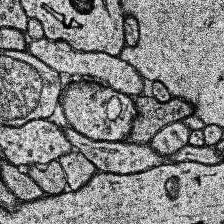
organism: Human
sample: Temporal Lobe